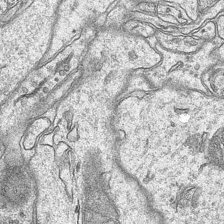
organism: Mouse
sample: CA1 Hippocampus